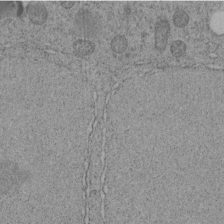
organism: C. elegans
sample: C. elegans embryo early stage